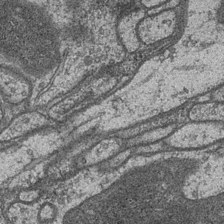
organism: Drosophila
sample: Optic medulla